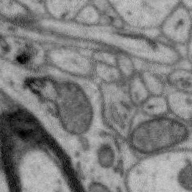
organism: Zebra finch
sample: Brain